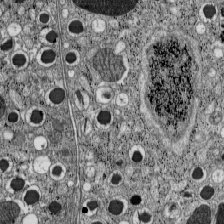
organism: C57BL Mouse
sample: Pancreatic islet